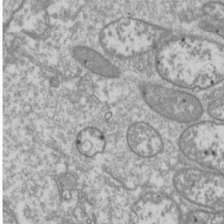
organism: Drosophila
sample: Cell division; meiosis; drosophila spermatocytes